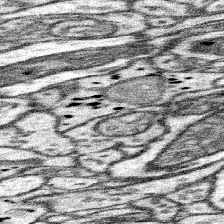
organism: Mouse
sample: Somatosensory cortex neuropil